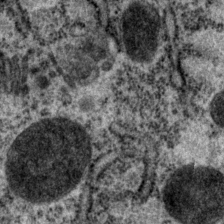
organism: P. pacificus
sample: Pharynx